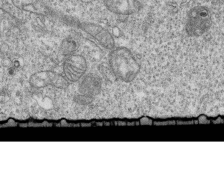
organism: Human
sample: HeLa cell HIV synapse